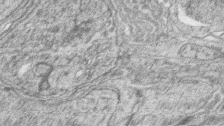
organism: Zebrafish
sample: synaptic ribbons in rod cells and cone cells